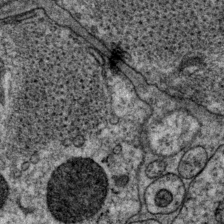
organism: P. pacificus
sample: Pharynx